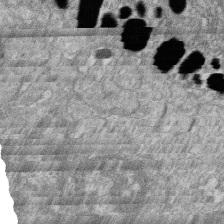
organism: Zebrafish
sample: Cilia; retinal pigment epithelium